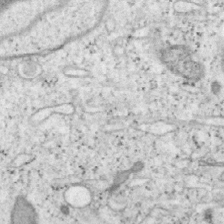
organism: Mouse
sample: OT-I killer T cells with ID8 ovarian cancer cells